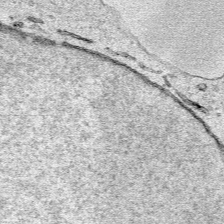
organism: Human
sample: Mitochondria in HCT116 cells